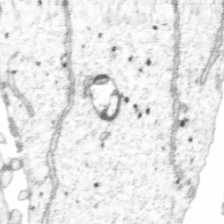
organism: Human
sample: HeLa cells